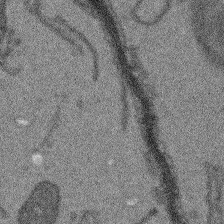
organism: Arabidopsis thaliana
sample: Root tip